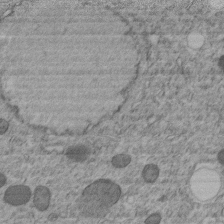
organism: C. elegans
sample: C. elegans embryo early stage